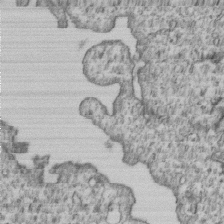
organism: Human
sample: MDA-MB-231 cells